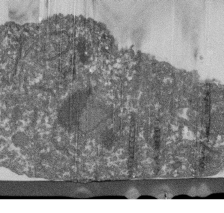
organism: Dictyostelium discoideum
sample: Dictyostelium multivesicular bodies